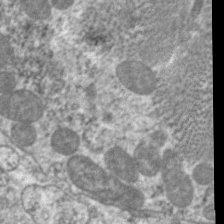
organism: C. elegans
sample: Pharynx